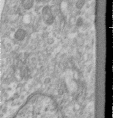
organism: Human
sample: Centriole in RPE cells